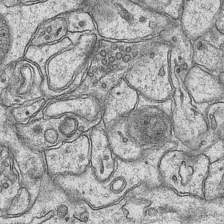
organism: Mouse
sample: CA1 Hippocampus